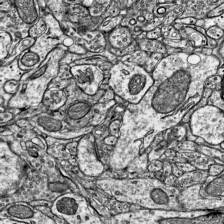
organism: Mouse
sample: Visual Cortex